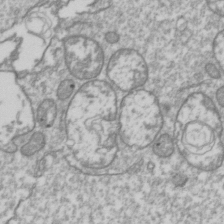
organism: Drosophila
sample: Cell division; meiosis; drosophila spermatocytes